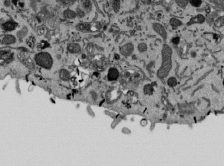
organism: Mouse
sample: ED-1 cell nuclei; centrioles